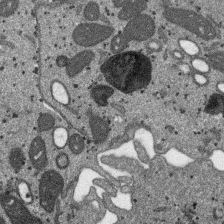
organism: Human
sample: Lung epithelial cells infected with SARS-CoV-2